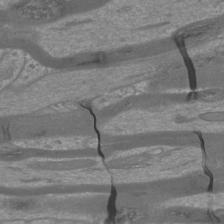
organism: Mouse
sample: Cortical neurons